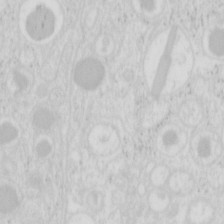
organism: Mouse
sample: Pancreas